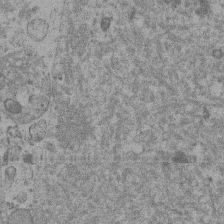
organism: Mouse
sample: Dividing mouse embryo 1 cell stage